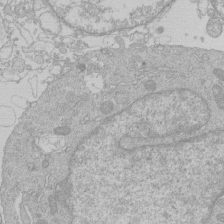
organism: Human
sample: Macrophage cells